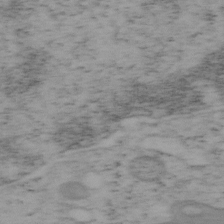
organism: Mouse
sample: OT-I killer T cells with ID8 ovarian cancer cells